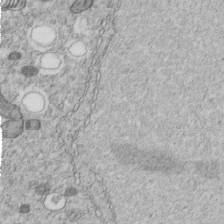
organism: C. elegans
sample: C. elegans embryo early stage